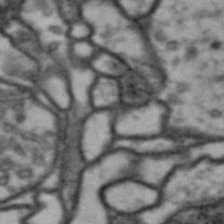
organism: Drosophila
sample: Brain